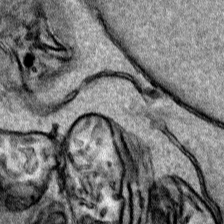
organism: Human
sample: Mitochondria in HCT116 cells